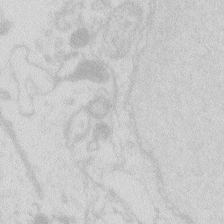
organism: Zebrafish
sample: Macrophage